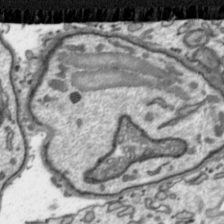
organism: Toxoplasma gondii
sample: Parasites in a vacuole inside a host cell